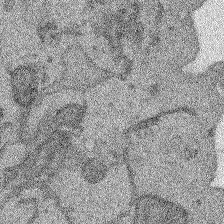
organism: Human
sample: HeLa cells